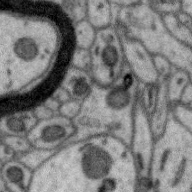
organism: Zebra finch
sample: Brain